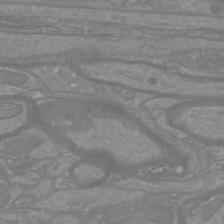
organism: Mouse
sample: Cortical neurons